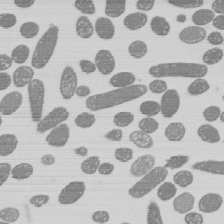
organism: E. coli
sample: Bacterial nucleoid